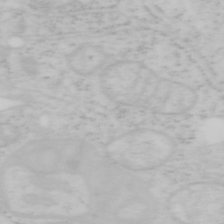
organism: Mouse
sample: OT-I killer T cells with ID8 ovarian cancer cells